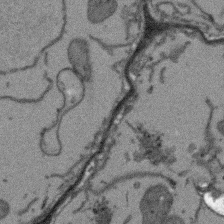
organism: Arabidopsis thaliana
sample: Root tip